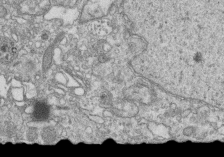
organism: Human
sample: HeLa cell HIV synapse